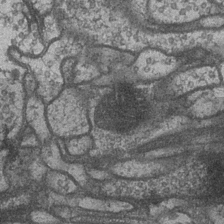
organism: Drosophila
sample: Optic medulla